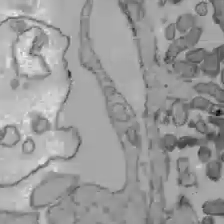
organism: C57BL Mouse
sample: Liver